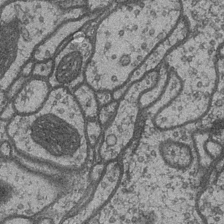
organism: Drosophila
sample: Optic medulla